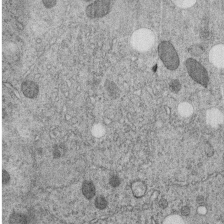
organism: C. elegans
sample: C. elegans embryo early stage